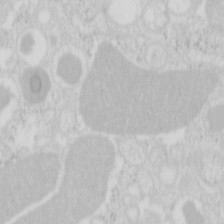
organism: Mouse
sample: Pancreas